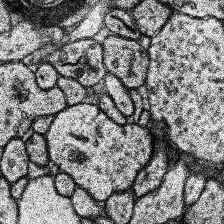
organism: Human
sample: Temporal Lobe